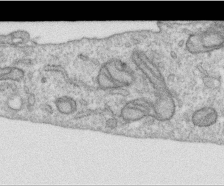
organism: Human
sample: Centriole in RPE cells